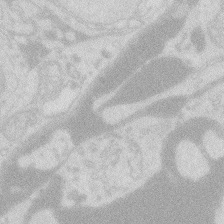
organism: Zebrafish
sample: Macrophage